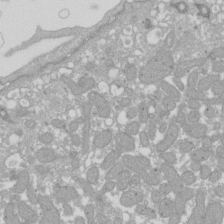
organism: Xenopus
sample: Cilia; centrioles in frog embryo cells